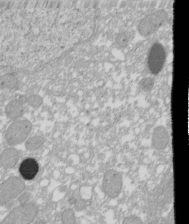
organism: Xenopus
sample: Cilia; centrioles in frog embryo cells